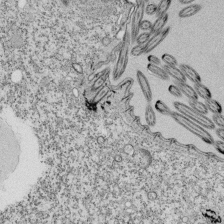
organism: Tetrahymena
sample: Cilia in tetrahymena